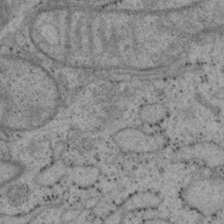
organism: Human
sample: HeLa cells